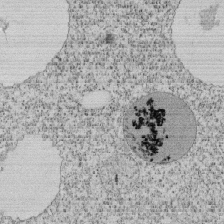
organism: Tetrahymena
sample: Cilia in tetrahymena